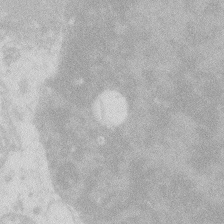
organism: Zebrafish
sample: Macrophage